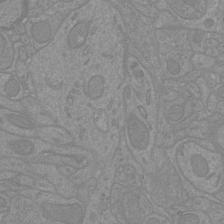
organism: Mouse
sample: Cortical neurons